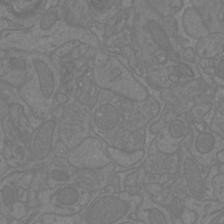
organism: Mouse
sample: Cortical neurons